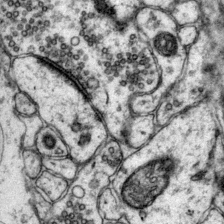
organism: Mouse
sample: Primary visual cortex